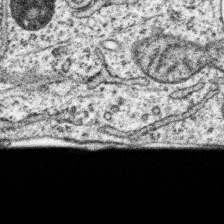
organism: Human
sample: HeLa cells